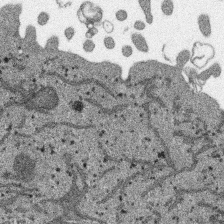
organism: Human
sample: Lung epithelial cells infected with SARS-CoV-2